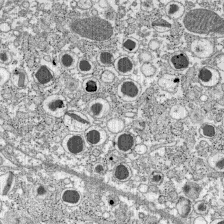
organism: C57BL Mouse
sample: Pancreatic islet